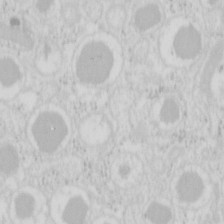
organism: Mouse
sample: Pancreas